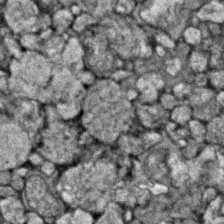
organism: Zebrafish